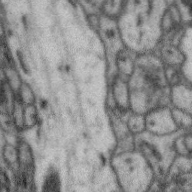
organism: Zebra finch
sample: Brain